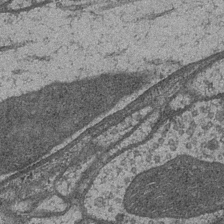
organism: Drosophila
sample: Optic medulla